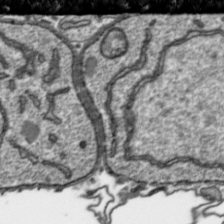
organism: Toxoplasma gondii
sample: Parasites in a vacuole inside a host cell